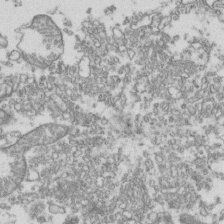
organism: Human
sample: Activated Jurkat CD4+ T cells